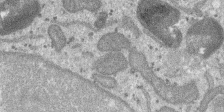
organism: Human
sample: Lung epithelial cells infected with SARS-CoV-2